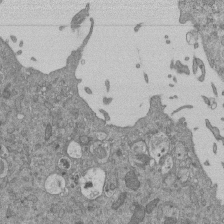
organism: Mouse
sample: ED-1 cell nuclei; centrioles